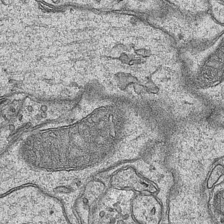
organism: Mouse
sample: CA1 Hippocampus